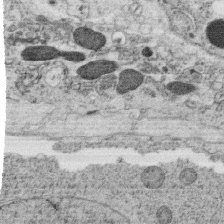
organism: C. elegans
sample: C. elegans oocyte; sperm cells